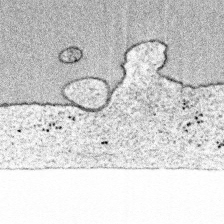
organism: Human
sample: HeLa cells